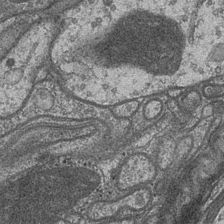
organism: Drosophila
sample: Optic medulla